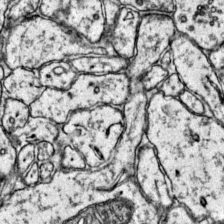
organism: Mouse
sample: Primary visual cortex